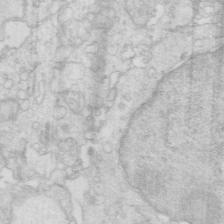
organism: Mouse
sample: Multiciliated cells